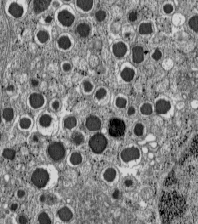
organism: C57BL Mouse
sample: Pancreatic islet